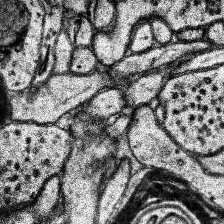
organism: Human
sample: Temporal Lobe